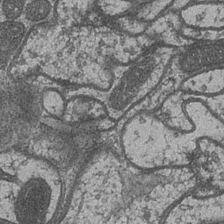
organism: Drosophila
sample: Optic medulla